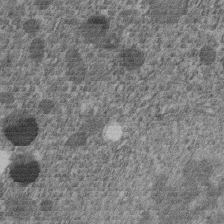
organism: C. elegans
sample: C. elegans embryo early stage